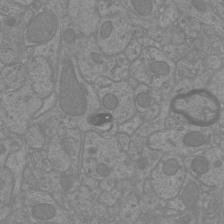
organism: Mouse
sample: Cortical neurons